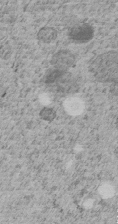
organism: C. elegans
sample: C. elegans embryo early stage